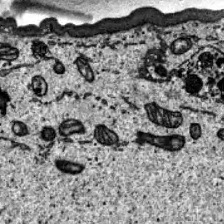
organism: Human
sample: HeLa cells